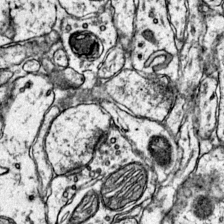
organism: Mouse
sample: Primary visual cortex